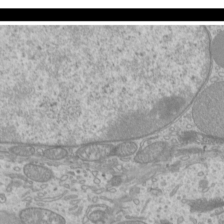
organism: Mouse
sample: Cilia; mouse epididymis